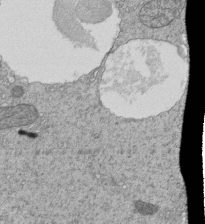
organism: Tetrahymena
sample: Cilia in tetrahymena